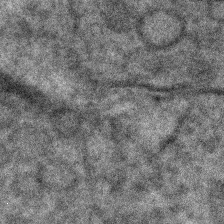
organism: C. elegans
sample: C. elegans embryo